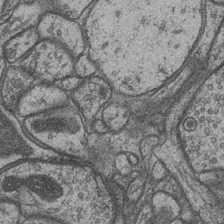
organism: Drosophila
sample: Optic medulla